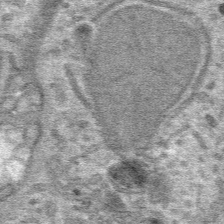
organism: Mouse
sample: Mouse hepatocytes